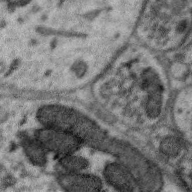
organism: Zebra finch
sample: Brain